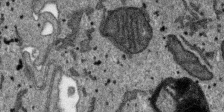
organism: Human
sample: Lung epithelial cells, uninfected (mock) control